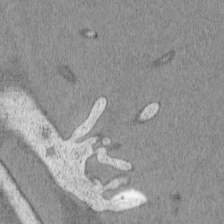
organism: African green monkey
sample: COS-7 cells